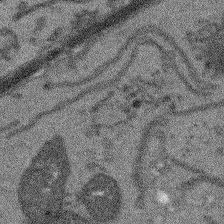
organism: Arabidopsis thaliana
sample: Root tip